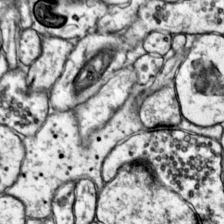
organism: Mouse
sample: Primary visual cortex